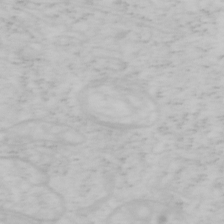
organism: Mouse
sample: OT-I killer T cells with ID8 ovarian cancer cells